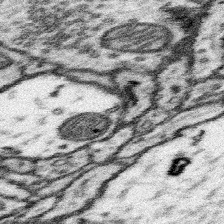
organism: Mouse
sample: Somatosensory cortex neuropil